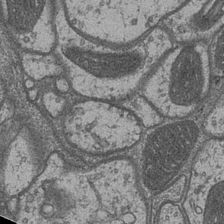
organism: Drosophila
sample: Optic medulla